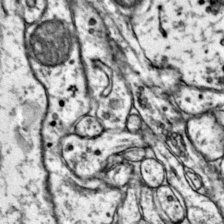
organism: Mouse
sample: Primary visual cortex